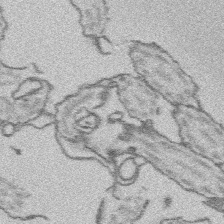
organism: Platynereis dumerilii